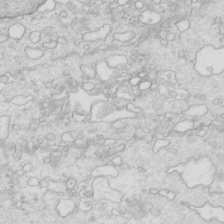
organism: Mouse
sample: Multiciliated cells